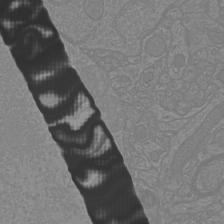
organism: Mouse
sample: Cortical neurons